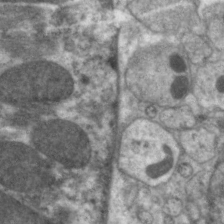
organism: C. elegans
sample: Pharynx